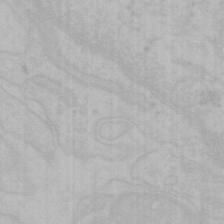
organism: Mouse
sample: Choroid plexus